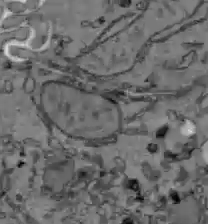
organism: C57BL Mouse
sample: Liver